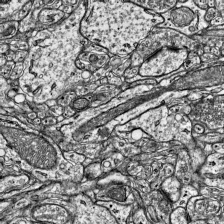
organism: Mouse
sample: Visual Cortex